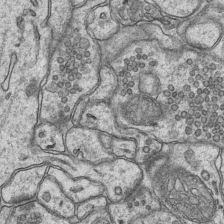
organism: Mouse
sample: CA1 Hippocampus